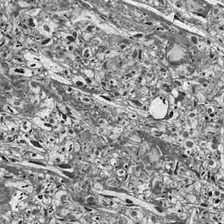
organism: Drosophila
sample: Optic lobe